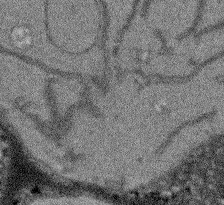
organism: Arabidopsis thaliana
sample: Root tip